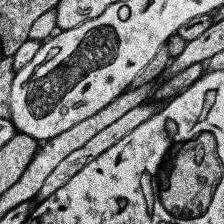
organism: Human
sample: Temporal Lobe